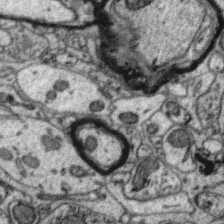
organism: Zebra finch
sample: Brain